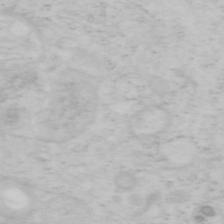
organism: Mouse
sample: OT-I killer T cells with ID8 ovarian cancer cells